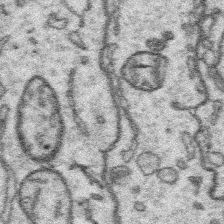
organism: Platynereis dumerilii